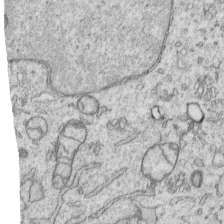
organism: Human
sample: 1205lu cells